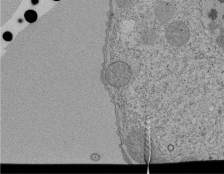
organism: Tetrahymena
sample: Cilia in tetrahymena